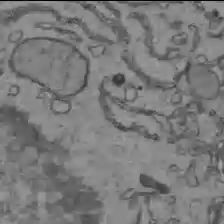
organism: C57BL Mouse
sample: Liver